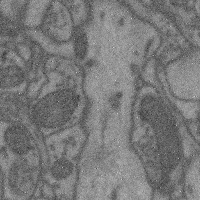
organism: Mouse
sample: Cerebral cortex